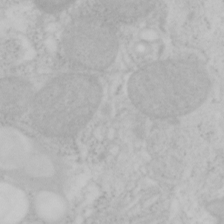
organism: Mouse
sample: OT-I killer T cells with ID8 ovarian cancer cells